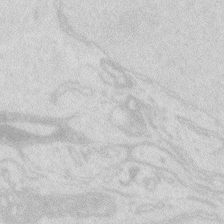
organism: Zebrafish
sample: Macrophage